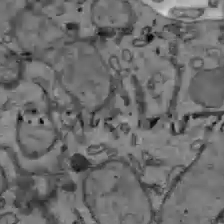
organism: C57BL Mouse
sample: Liver